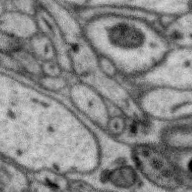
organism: Zebra finch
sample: Brain